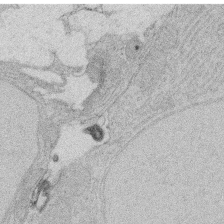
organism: Rat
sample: Salivary granule